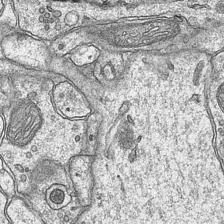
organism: Mouse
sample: CA1 Hippocampus